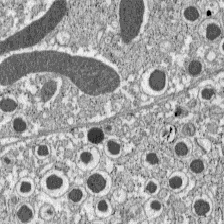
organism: C57BL Mouse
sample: Pancreatic islet